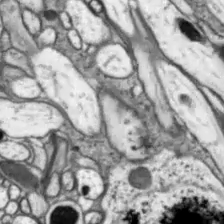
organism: Drosophila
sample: Optic lobe